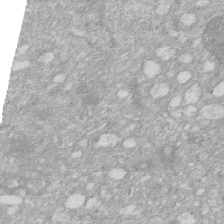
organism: Human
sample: HIV infected U937 cells